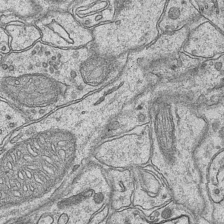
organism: Mouse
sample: CA1 Hippocampus